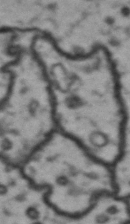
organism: Drosophila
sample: Brain